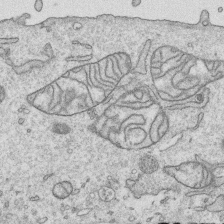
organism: Human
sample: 1205lu cells